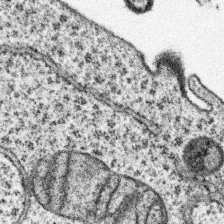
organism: Human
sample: HeLa cells